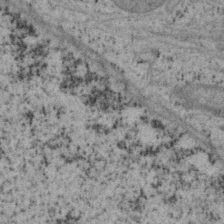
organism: Human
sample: HeLa cells